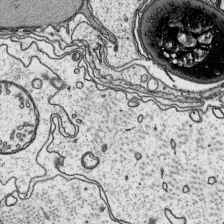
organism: Platynereis dumerilii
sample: Parapodia